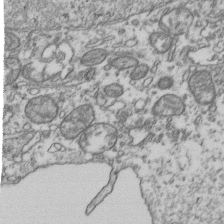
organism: Human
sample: Activated Jurkat CD4+ T cells